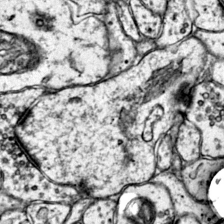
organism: Mouse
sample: Primary visual cortex